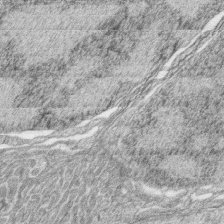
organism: Zebrafish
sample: synaptic ribbons in rod cells and cone cells